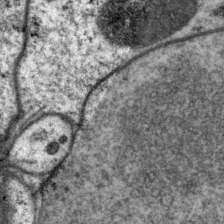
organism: P. pacificus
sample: Pharynx